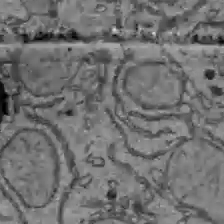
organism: C57BL Mouse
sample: Liver